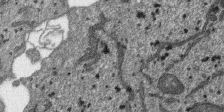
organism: Human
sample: Lung epithelial cells infected with SARS-CoV-2